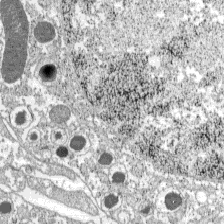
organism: C57BL Mouse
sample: Pancreatic islet